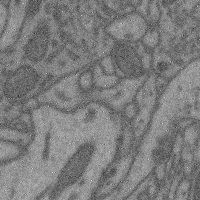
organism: Mouse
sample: Cerebral cortex